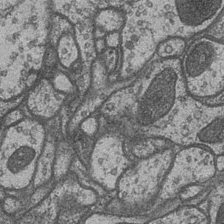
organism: Drosophila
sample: Optic medulla